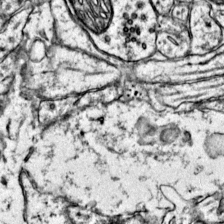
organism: Mouse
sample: Primary visual cortex